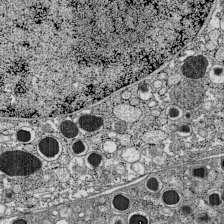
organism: C57BL Mouse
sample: Pancreatic islet